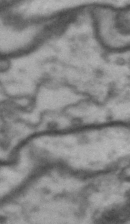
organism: Drosophila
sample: Brain